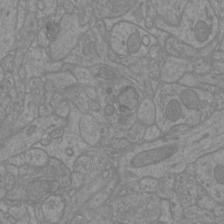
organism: Mouse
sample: Cortical neurons